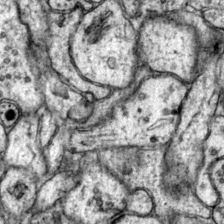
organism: Mouse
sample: Primary visual cortex